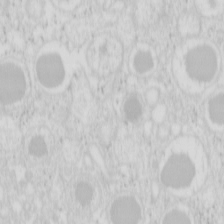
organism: Mouse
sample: Pancreas